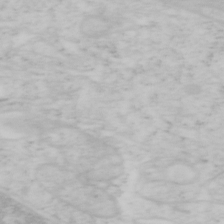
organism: Mouse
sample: OT-I killer T cells with ID8 ovarian cancer cells